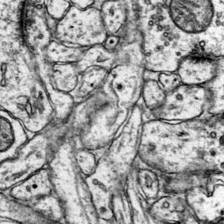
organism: Mouse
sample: Primary visual cortex